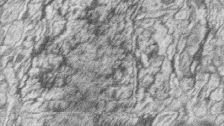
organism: Zebrafish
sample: synaptic ribbons in rod cells and cone cells